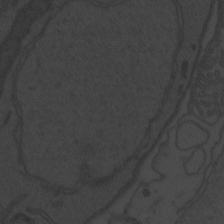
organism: Zebrafish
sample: Macrophage infected with Toxoplasma gondii